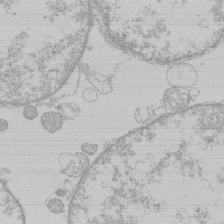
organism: Human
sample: Macrophage cells